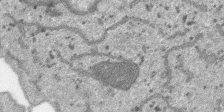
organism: Human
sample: Lung epithelial cells infected with SARS-CoV-2